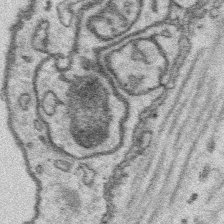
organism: Platynereis dumerilii